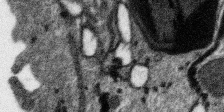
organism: Human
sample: Lung epithelial cells infected with SARS-CoV-2